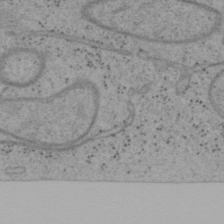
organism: Human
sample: HeLa cells